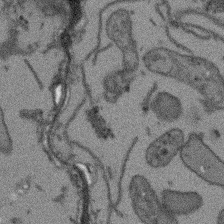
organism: Arabidopsis thaliana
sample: Root tip